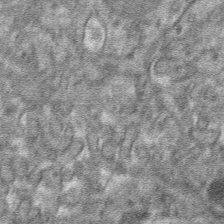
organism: Mouse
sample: Mouse hepatocytes